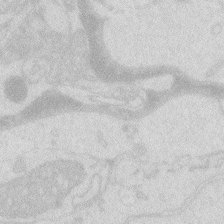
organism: Zebrafish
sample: Macrophage